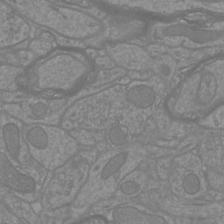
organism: Mouse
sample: Cortical neurons